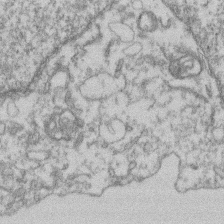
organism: Mouse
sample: T cell stromal cell synapse